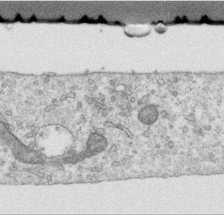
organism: Human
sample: Centriole in RPE cells